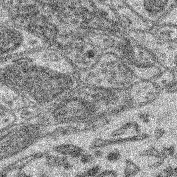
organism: Mouse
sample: Retina